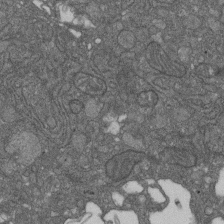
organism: Drosophila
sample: Nephrocyte